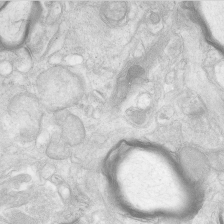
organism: Human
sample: Neocortex